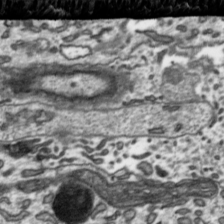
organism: Toxoplasma gondii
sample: Parasites in a vacuole inside a host cell